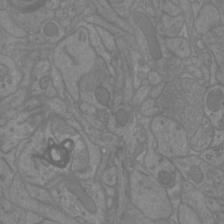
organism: Mouse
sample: Cortical neurons